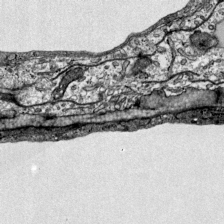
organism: Mouse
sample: Visual Cortex